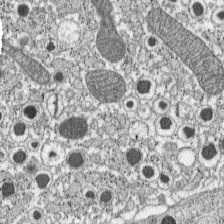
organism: C57BL Mouse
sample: Pancreatic islet